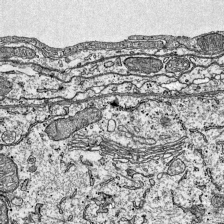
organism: Mouse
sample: Visual Cortex